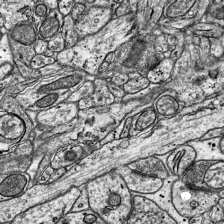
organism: Mouse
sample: Visual Cortex